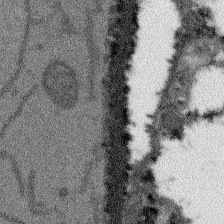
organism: Arabidopsis thaliana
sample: Root tip